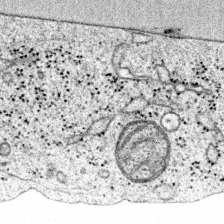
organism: Human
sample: HeLa cells